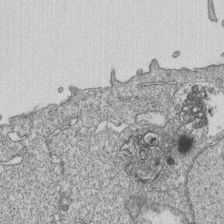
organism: Human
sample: HeLa cell HIV synapse